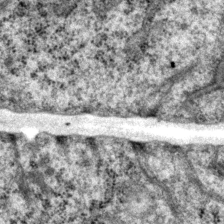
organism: P. pacificus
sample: Pharynx